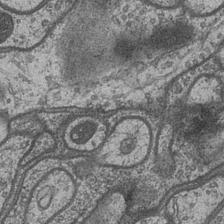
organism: Drosophila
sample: Optic medulla